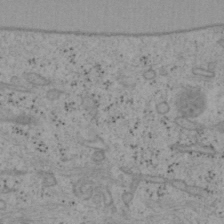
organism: Human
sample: HeLa cells